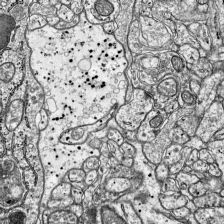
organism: Mouse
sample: Visual Cortex